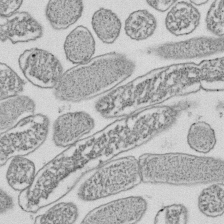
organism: E. coli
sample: Bacterial nucleoid